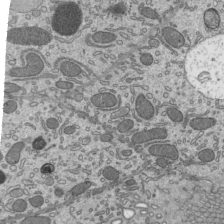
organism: Mouse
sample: Mouse epididymis efferent ductule cilia